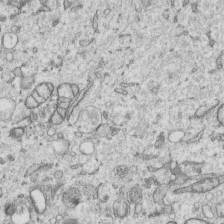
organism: Human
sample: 1205lu cells